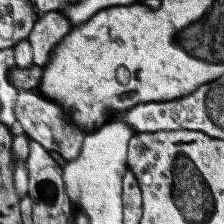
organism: Human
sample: Temporal Lobe